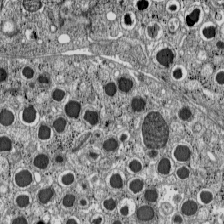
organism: C57BL Mouse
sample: Pancreatic islet